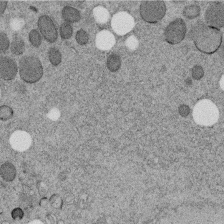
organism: C. elegans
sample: C. elegans embryo early stage